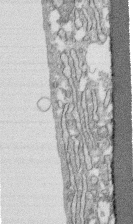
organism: Human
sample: CRL-1474